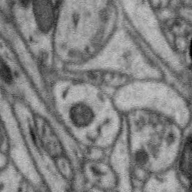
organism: Zebra finch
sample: Brain